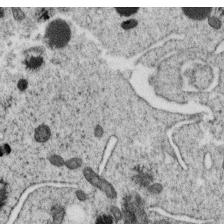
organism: C. elegans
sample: C. elegans oocyte; sperm cells